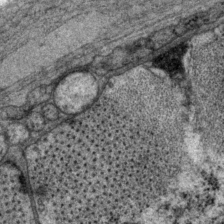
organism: P. pacificus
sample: Pharynx